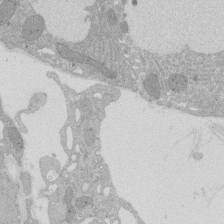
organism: Rat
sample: Salivary granule